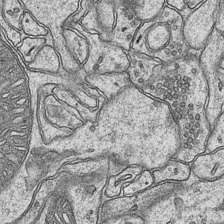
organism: Mouse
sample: CA1 Hippocampus